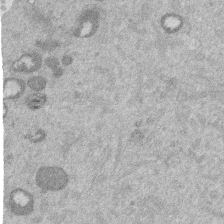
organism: Mouse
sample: Dividing mouse embryo 1 cell stage